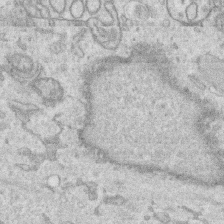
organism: Human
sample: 1205lu cells